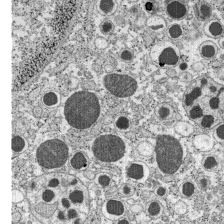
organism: C57BL Mouse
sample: Pancreatic islet